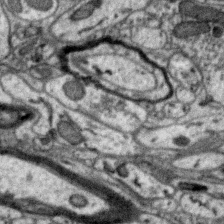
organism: Zebra finch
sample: Brain